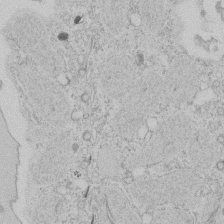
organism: Tetrahymena